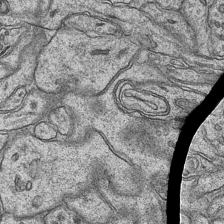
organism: Mouse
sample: CA1 Hippocampus